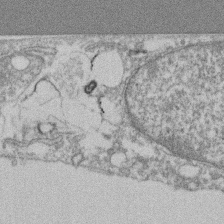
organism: Mouse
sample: T cell stromal cell synapse